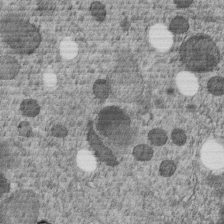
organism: C. elegans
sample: C. elegans embryo early stage